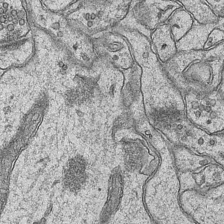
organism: Mouse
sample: CA1 Hippocampus